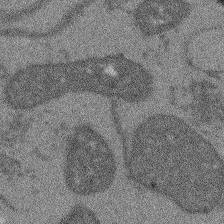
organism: Arabidopsis thaliana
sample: Root tip